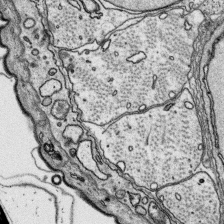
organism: Platynereis dumerilii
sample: Parapodia